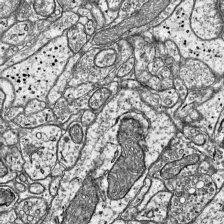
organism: Mouse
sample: Visual Cortex